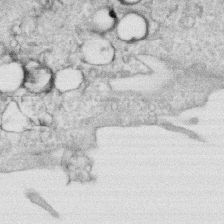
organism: Human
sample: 1205lu cells